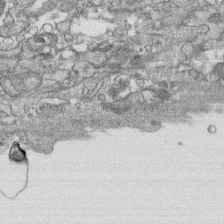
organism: Human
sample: CRL-1474